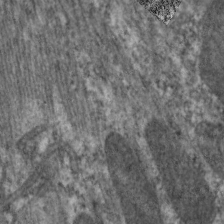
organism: C. elegans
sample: Pharynx